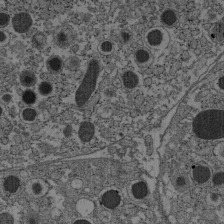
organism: C57BL Mouse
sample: Pancreatic islet